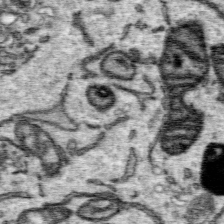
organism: Human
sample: HeLa cells